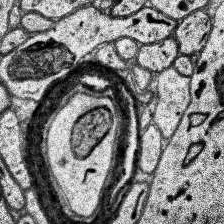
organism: Human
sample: Temporal Lobe